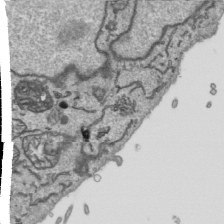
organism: Human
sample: Mitochondria in HCT116 cells